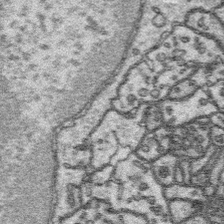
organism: Platynereis dumerilii